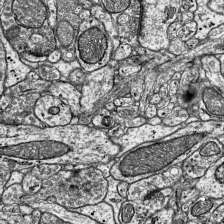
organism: Mouse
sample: Visual Cortex